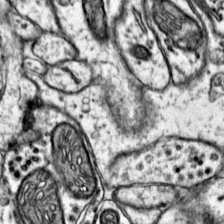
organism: Mouse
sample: Primary visual cortex